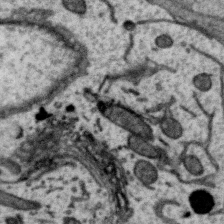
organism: Zebra finch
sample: Brain